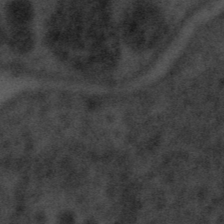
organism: Tuwongella immobilis